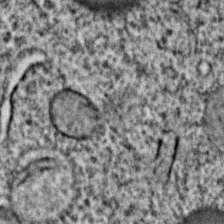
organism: C. elegans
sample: C. elegans embryo